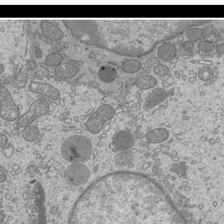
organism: Mouse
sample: Cilia; mouse epididymis